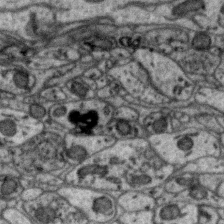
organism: Zebra finch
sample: Brain